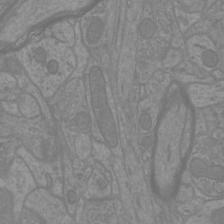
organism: Mouse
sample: Cortical neurons